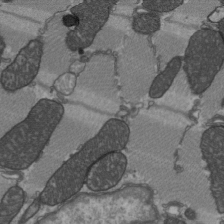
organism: C57BL Mouse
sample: Heart